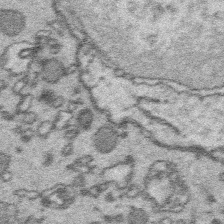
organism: Platynereis dumerilii